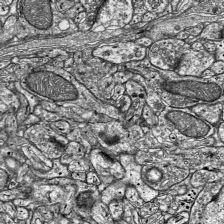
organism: Mouse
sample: Visual Cortex